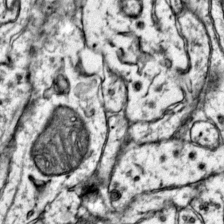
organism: Mouse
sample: Primary visual cortex